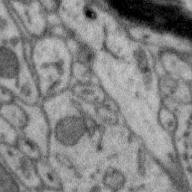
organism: Zebra finch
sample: Brain